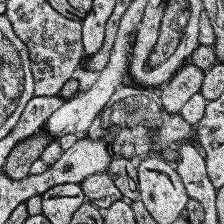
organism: Human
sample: Temporal Lobe